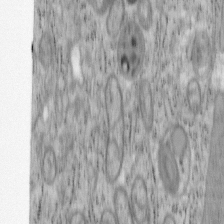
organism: Human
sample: HeLa cells